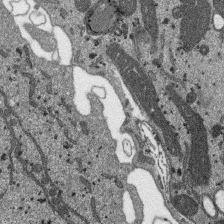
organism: Human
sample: Lung epithelial cells infected with SARS-CoV-2